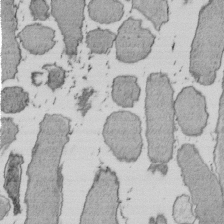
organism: E. coli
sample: Bacterial nucleoid